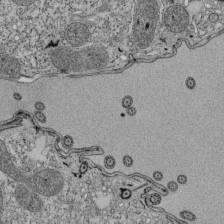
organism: Tetrahymena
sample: Cilia in tetrahymena